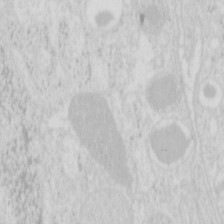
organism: Mouse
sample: Pancreas